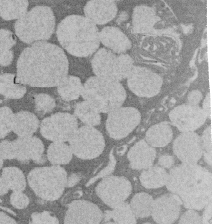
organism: Rat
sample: Salivary granule